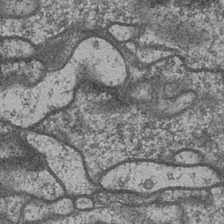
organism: Drosophila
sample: Optic medulla